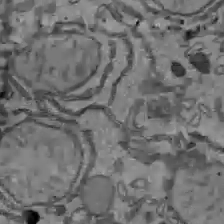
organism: C57BL Mouse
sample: Liver